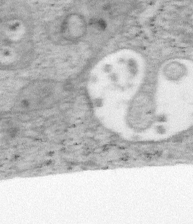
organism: Mouse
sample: OT-I killer T cells with ID8 ovarian cancer cells